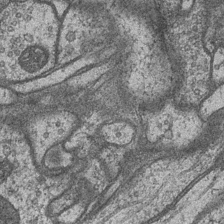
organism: Drosophila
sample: Optic medulla